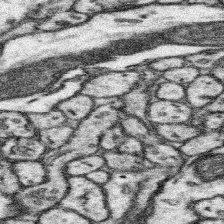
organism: Mouse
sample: Somatosensory cortex neuropil